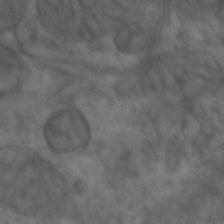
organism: Zebrafish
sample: Zebrafish embryo